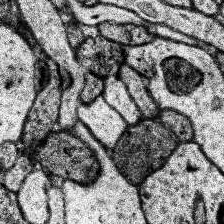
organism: Human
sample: Temporal Lobe